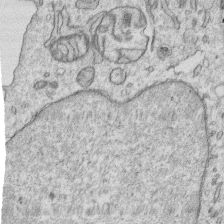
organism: Human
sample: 1205lu cells